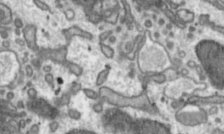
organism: Toxoplasma gondii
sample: Parasites in a vacuole inside a host cell